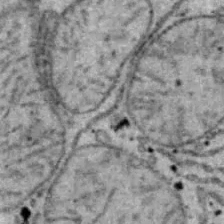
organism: Mouse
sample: Liver from an obese (ob/ob) mouse